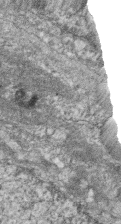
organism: Zebrafish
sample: Cilia; retinal pigment epithelium